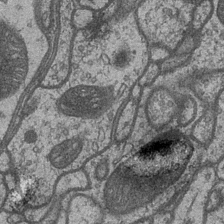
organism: Drosophila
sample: Optic medulla